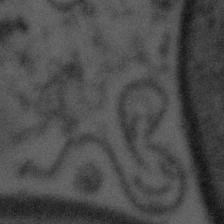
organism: Tuwongella immobilis